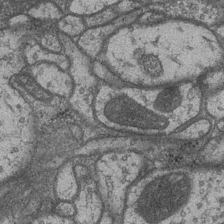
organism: Drosophila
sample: Optic medulla